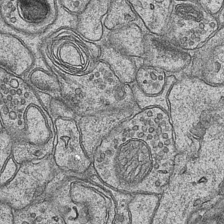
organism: Mouse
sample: CA1 Hippocampus